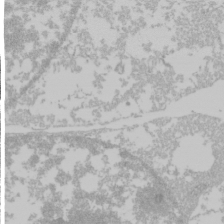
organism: Mouse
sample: Cancer cell death in ED-1 cells